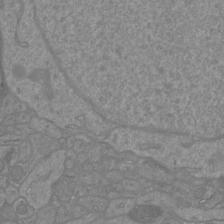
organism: Mouse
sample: Cortical neurons